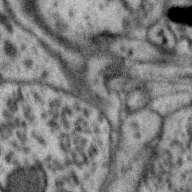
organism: Zebra finch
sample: Brain